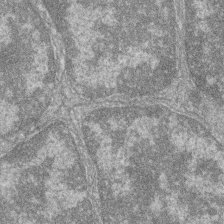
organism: Zebrafish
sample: Cilia; retinal pigment epithelium